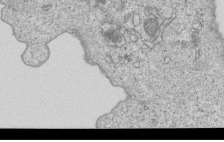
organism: Human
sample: MDA-MB-231 cells